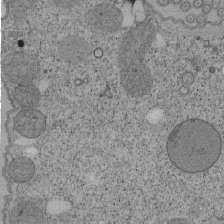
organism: Tetrahymena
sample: Cilia in tetrahymena